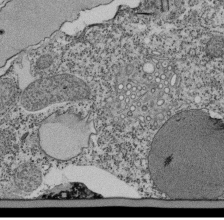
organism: Tetrahymena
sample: Cilia in tetrahymena